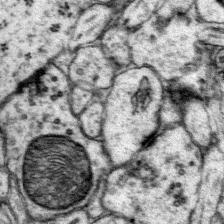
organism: Mouse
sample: Primary visual cortex